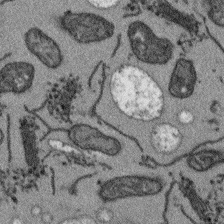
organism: Arabidopsis thaliana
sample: Root tip